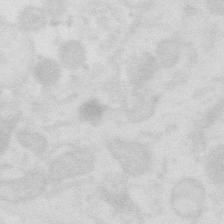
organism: Human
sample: HeLa cells